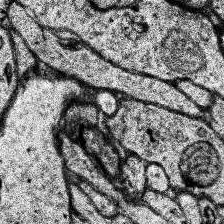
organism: Human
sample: Temporal Lobe